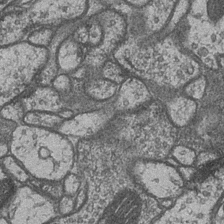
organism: Drosophila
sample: Optic medulla